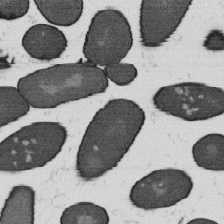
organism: B. subtilis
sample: Bacterial spore